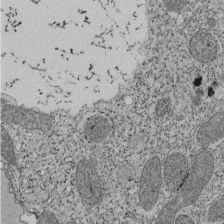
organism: Tetrahymena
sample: Cilia in tetrahymena